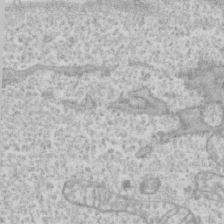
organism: Human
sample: CRL-1474